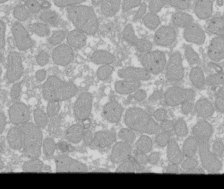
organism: Xenopus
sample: Cilia; centrioles in frog embryo cells